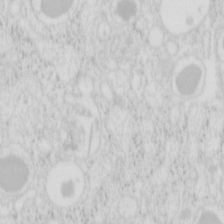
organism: Mouse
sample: Pancreas